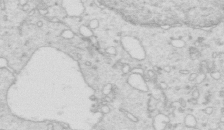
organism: Mouse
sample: Multiciliated cells